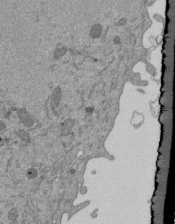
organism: Mouse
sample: ED-1 cell nuclei; centrioles